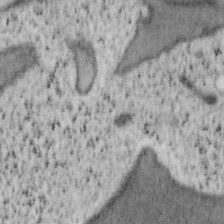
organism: Mouse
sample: OT-I killer T cells with ID8 ovarian cancer cells